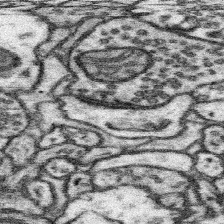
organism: Mouse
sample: Somatosensory cortex neuropil